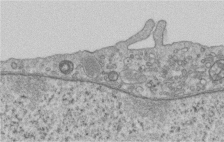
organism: Human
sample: Centriole in RPE cells